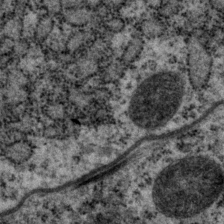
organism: P. pacificus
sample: Pharynx